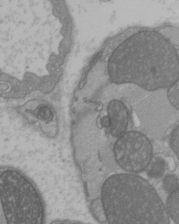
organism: C57BL Mouse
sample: Heart